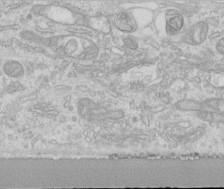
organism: Human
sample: Centriole in RPE cells